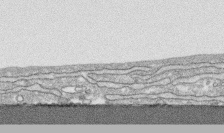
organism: Human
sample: CRL-1474